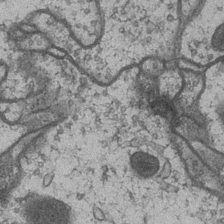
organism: Drosophila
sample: Optic medulla